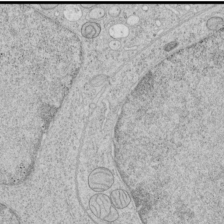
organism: Human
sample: Mitochondria in HCT116 cells